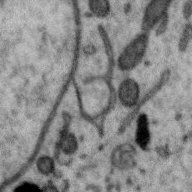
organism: Zebra finch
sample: Brain